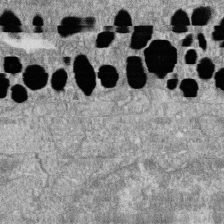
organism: Zebrafish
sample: Cilia; retinal pigment epithelium